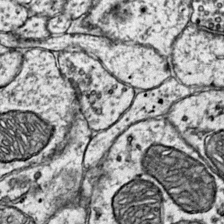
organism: Mouse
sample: Primary visual cortex